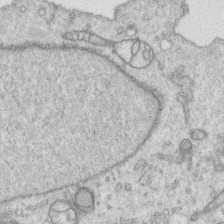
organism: Human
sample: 1205lu cells